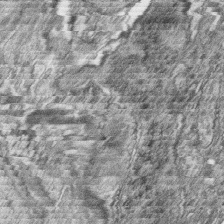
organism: Zebrafish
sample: synaptic ribbons in rod cells and cone cells